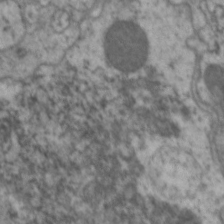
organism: C. elegans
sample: Pharynx